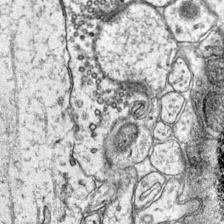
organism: Mouse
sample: Primary visual cortex